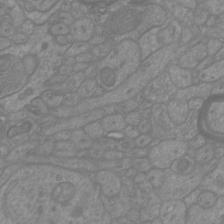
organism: Mouse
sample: Cortical neurons